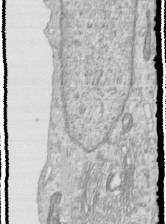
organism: Human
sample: Centriole in RPE cells